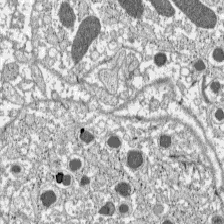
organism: C57BL Mouse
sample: Pancreatic islet